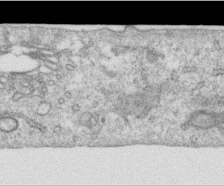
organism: Human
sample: Centriole in RPE cells